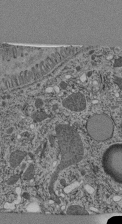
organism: C. elegans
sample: C. elegans pharynx